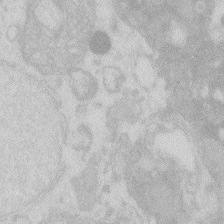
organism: Zebrafish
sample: Macrophage